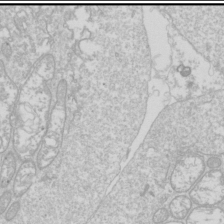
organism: Drosophila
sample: Cell division; meiosis; drosophila spermatocytes